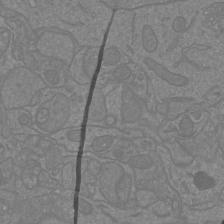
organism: Mouse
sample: Cortical neurons